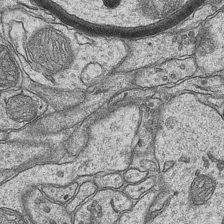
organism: Mouse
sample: CA1 Hippocampus